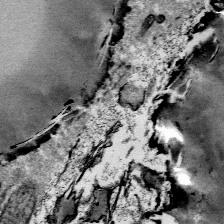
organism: Mouse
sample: Mouse Salivary gland